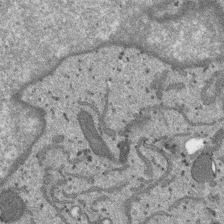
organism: Human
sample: Lung epithelial cells infected with SARS-CoV-2